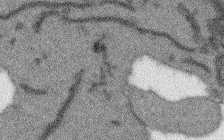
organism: Arabidopsis thaliana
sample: Root tip